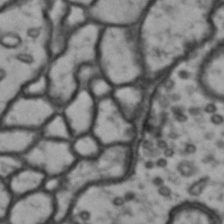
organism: Drosophila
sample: Brain